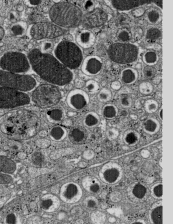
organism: C57BL Mouse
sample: Pancreatic islet